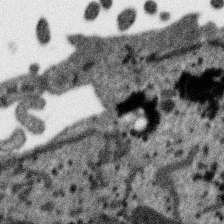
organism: Human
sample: Lung epithelial cells infected with SARS-CoV-2